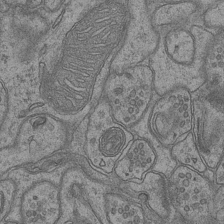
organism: Mouse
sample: CA1 Hippocampus